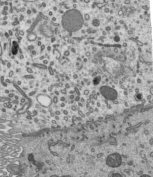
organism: Mouse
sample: Mouse epididymis efferent ductule cilia